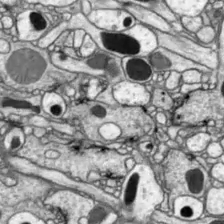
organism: Drosophila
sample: Optic lobe